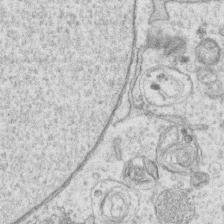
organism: Human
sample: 1205lu cells